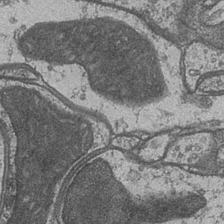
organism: Drosophila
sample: Optic medulla